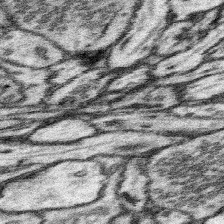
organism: Mouse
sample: Somatosensory cortex neuropil